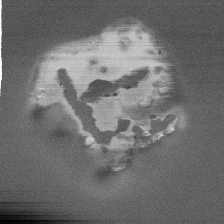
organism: Human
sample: Retinal organoid Rod and Cone cells